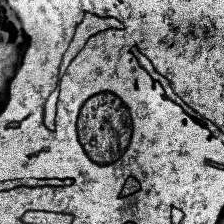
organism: Human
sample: Temporal Lobe